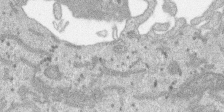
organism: Human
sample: Lung epithelial cells infected with SARS-CoV-2